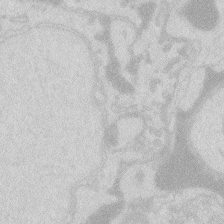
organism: Zebrafish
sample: Macrophage